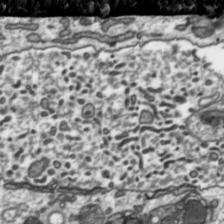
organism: Toxoplasma gondii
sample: Parasites in a vacuole inside a host cell